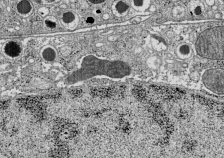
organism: C57BL Mouse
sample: Pancreatic islet